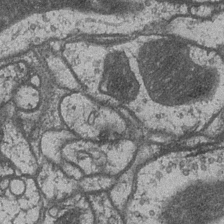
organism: Drosophila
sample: Optic medulla